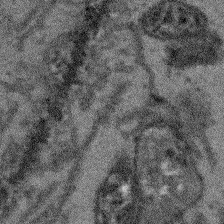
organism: Arabidopsis thaliana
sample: Root tip